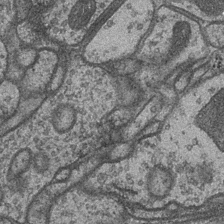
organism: Drosophila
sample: Optic medulla